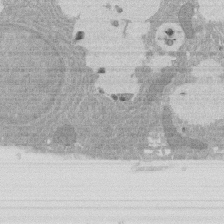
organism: Rat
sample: Salivary granule